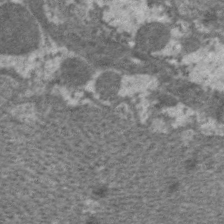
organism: C. elegans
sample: Pharynx